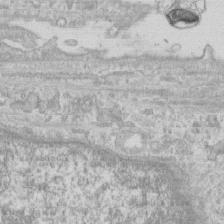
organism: Human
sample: CRL-1474